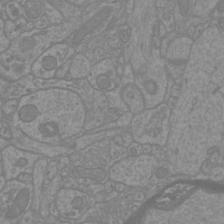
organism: Mouse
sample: Cortical neurons